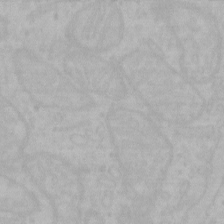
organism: Mouse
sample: Choroid plexus